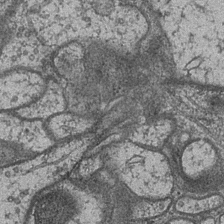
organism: Drosophila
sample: Optic medulla